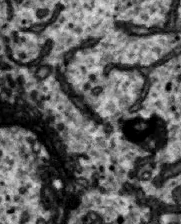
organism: Human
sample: HeLa cells